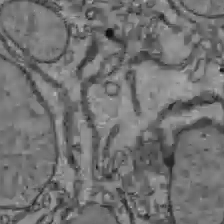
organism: C57BL Mouse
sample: Liver